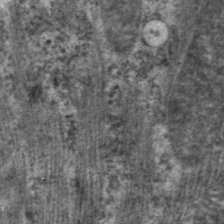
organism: C. elegans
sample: Pharynx